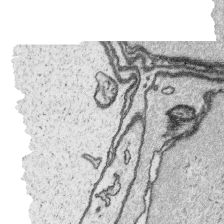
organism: Platynereis dumerilii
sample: Parapodia